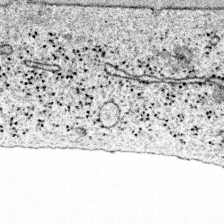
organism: Human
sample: HeLa cells